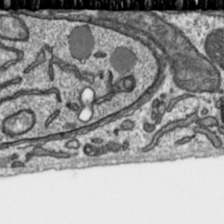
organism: Toxoplasma gondii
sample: Parasites in a vacuole inside a host cell